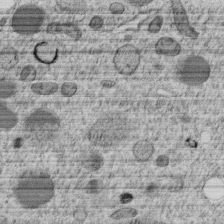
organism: C. elegans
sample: C. elegans embryo early stage